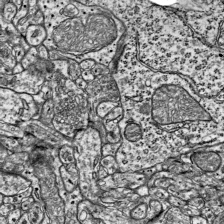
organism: Mouse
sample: Visual Cortex